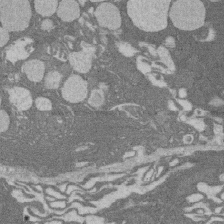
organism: Rat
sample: Salivary granule